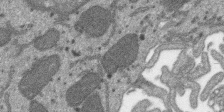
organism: Human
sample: Lung epithelial cells infected with SARS-CoV-2